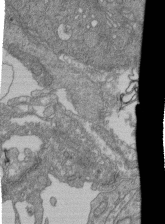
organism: Human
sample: Retinal organoid Rod and Cone cells